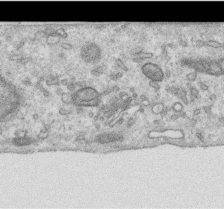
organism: Human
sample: Centriole in RPE cells